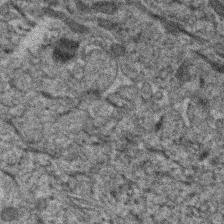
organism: Human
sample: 1205lu cells